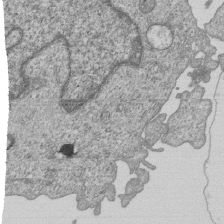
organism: Human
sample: MDA-MB-231 cells